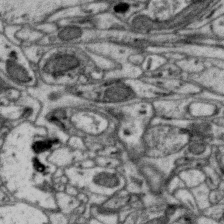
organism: Zebra finch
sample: Brain